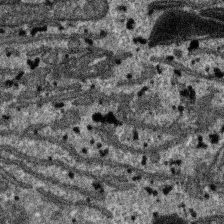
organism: Human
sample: Lung epithelial cells infected with SARS-CoV-2